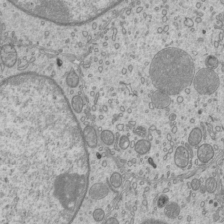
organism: Mouse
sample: Cilia; mouse epididymis